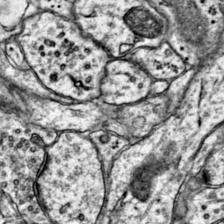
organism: Mouse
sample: Primary visual cortex